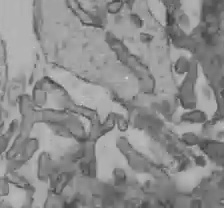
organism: C57BL Mouse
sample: Liver